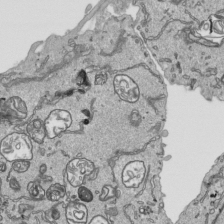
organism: Human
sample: Mitochondria in HCT116 cells